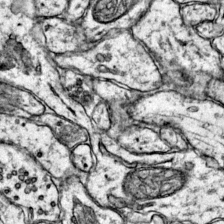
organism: Mouse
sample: Primary visual cortex